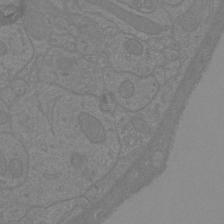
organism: Mouse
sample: Cortical neurons